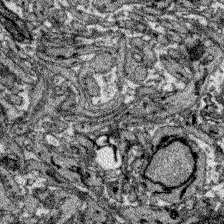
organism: Zebrafish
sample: Larval olfactory bulb